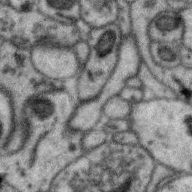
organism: Zebra finch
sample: Brain